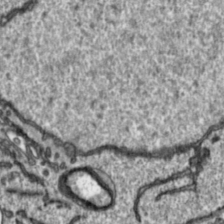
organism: Toxoplasma gondii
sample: Parasites in a vacuole inside a host cell